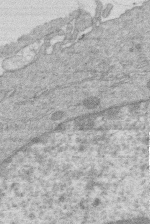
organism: Human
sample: Macrophage cells